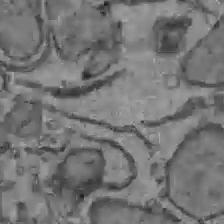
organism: C57BL Mouse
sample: Liver